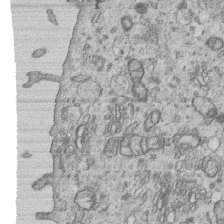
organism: Human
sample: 1205lu cells